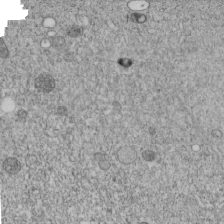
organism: C. elegans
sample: C. elegans embryo early stage